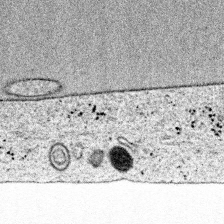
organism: Human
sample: HeLa cells